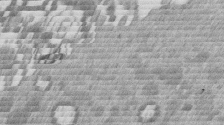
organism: Mouse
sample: Dividing mouse embryo 1 cell stage